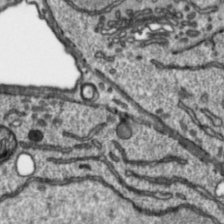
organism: Toxoplasma gondii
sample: Parasites in a vacuole inside a host cell